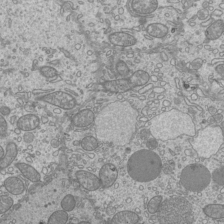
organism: Mouse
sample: Cilia; mouse epididymis